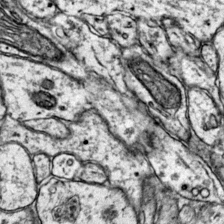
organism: Mouse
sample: Primary visual cortex